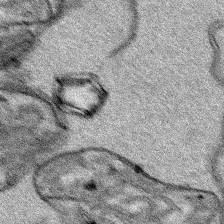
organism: Human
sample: Mitochondria in HCT116 cells